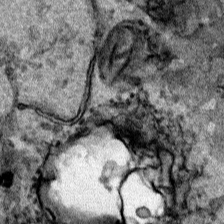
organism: Human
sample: Mitochondria in HCT116 cells